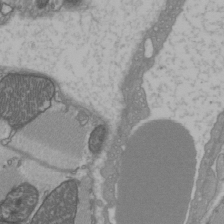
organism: C57BL Mouse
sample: Heart